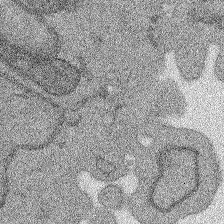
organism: Human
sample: HeLa cells